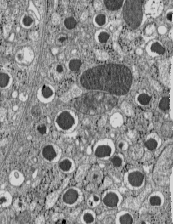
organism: C57BL Mouse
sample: Pancreatic islet